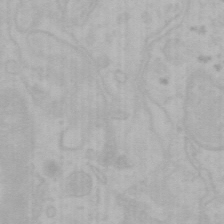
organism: Mouse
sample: Choroid plexus